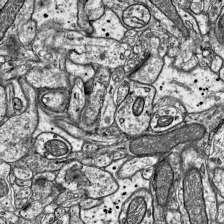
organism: Mouse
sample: Visual Cortex